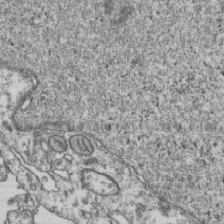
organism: Human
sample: Activated Jurkat CD4+ T cells